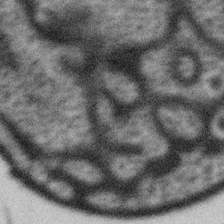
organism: Gemmata obscuriglobus